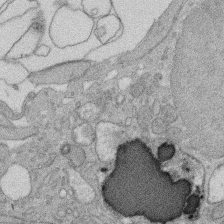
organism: Rat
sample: Salivary granule